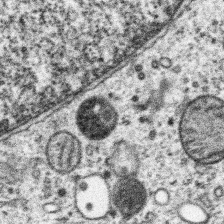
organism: Human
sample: HeLa cells